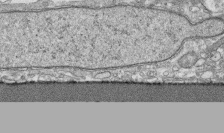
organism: Human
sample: CRL-1474